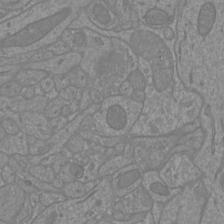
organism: Mouse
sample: Cortical neurons